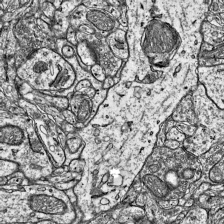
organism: Mouse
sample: Visual Cortex